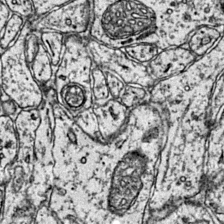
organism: Mouse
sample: Primary visual cortex